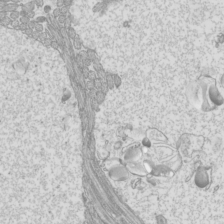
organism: Mouse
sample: Cilia; mouse epididymis